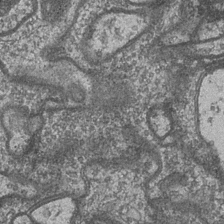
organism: Drosophila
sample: Optic medulla